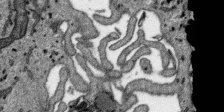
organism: Human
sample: Lung epithelial cells, uninfected (mock) control